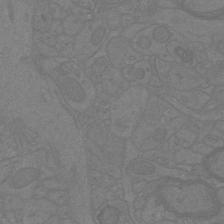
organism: Mouse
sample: Cortical neurons